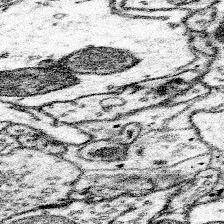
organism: Mouse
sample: Somatosensory cortex neuropil